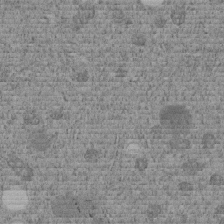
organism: C. elegans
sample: C. elegans embryo early stage